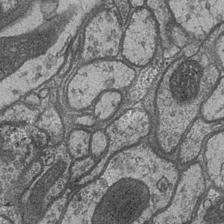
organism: Drosophila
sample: Optic medulla